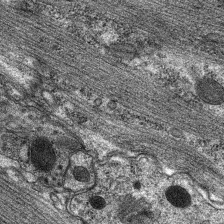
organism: C. elegans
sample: Pharynx